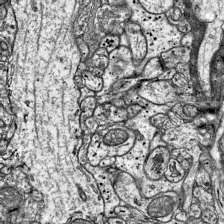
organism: Mouse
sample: Visual Cortex